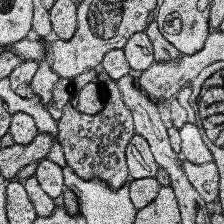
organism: Human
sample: Temporal Lobe